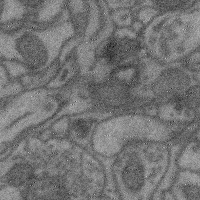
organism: Mouse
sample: Cerebral cortex